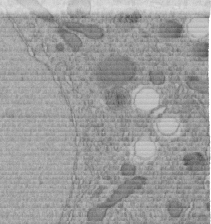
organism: C. elegans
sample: C. elegans embryo early stage